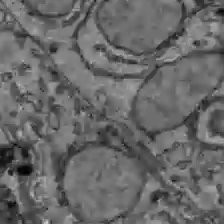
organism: C57BL Mouse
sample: Liver